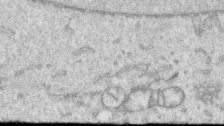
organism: Human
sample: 1205lu cells